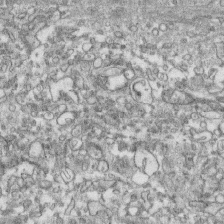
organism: Human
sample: CRL-1474